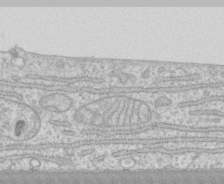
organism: Human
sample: CRL-1474